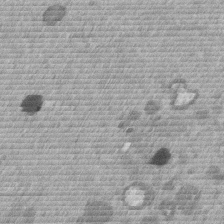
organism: Mouse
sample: Dividing mouse embryo 1 cell stage